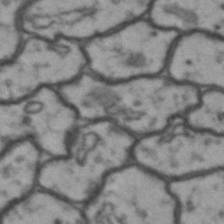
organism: Drosophila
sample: Brain